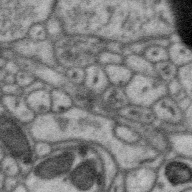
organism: Zebra finch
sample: Brain